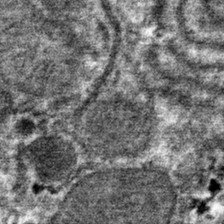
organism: Mouse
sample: Mouse hepatocytes